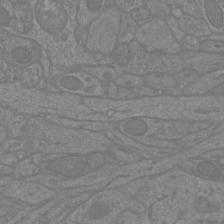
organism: Mouse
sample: Cortical neurons